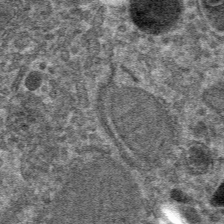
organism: Mouse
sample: Mouse hepatocytes